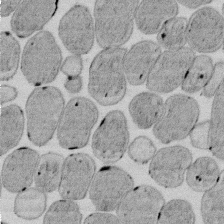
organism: E. coli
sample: Bacterial nucleoid